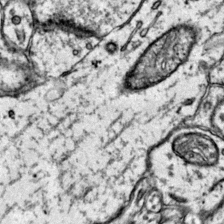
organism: Mouse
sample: Primary visual cortex